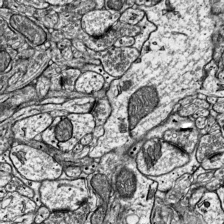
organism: Mouse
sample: Visual Cortex